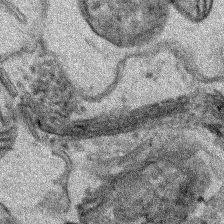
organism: Human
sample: Mitochondria in HCT116 cells